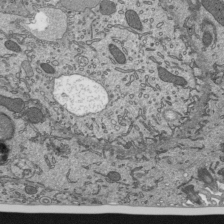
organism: Mouse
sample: Mouse epididymis efferent ductule cilia